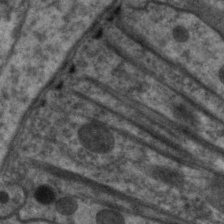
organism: C. elegans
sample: Pharynx